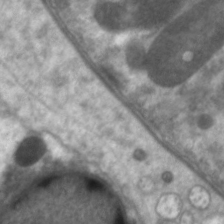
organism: C. elegans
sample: Pharynx